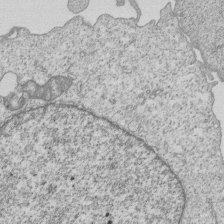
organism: Human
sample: MDA-MB-231 cells